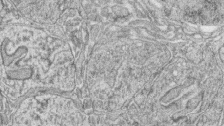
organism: Zebrafish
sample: synaptic ribbons in rod cells and cone cells